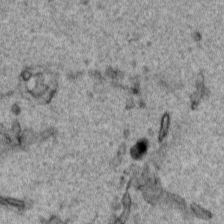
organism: Human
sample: Mitochondria in HCT116 cells